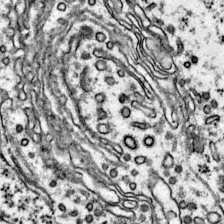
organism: Mouse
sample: Primary visual cortex